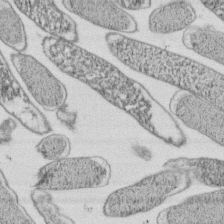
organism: E. coli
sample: Bacterial nucleoid